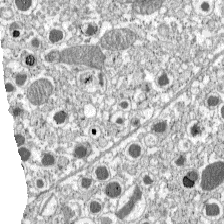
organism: C57BL Mouse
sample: Pancreatic islet